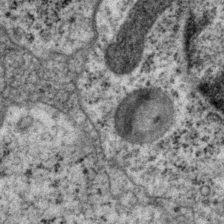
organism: P. pacificus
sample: Pharynx